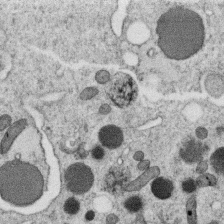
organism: C. elegans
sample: C. elegans oocyte; sperm cells